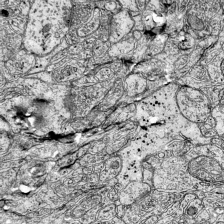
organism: Mouse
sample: Visual Cortex